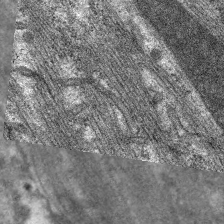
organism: C. elegans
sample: Pharynx